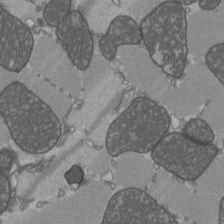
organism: C57BL Mouse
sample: Heart